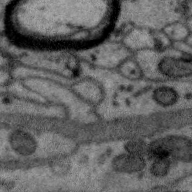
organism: Zebra finch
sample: Brain